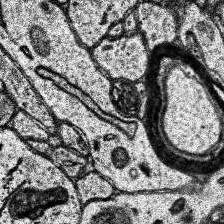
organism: Human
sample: Temporal Lobe